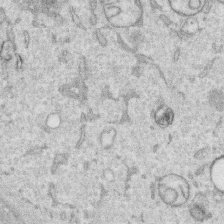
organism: Human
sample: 1205lu cells